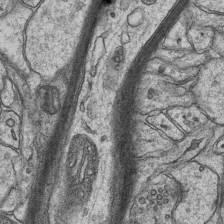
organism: Mouse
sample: CA1 Hippocampus